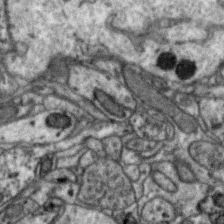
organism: Zebra finch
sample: Brain